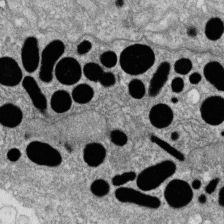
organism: Zebrafish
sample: Cilia; retinal pigment epithelium